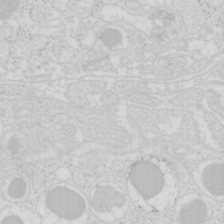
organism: Mouse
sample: Pancreas